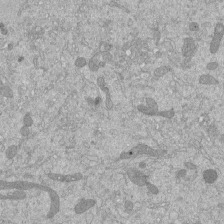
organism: Mouse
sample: ED-1 cell nuclei; centrioles